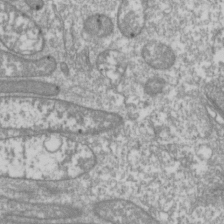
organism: Drosophila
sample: Cell division; meiosis; drosophila spermatocytes